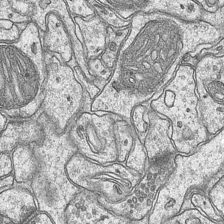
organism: Mouse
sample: CA1 Hippocampus